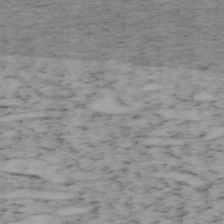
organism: Mouse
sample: OT-I killer T cells with ID8 ovarian cancer cells